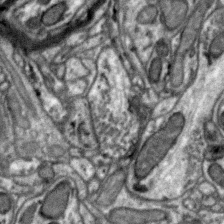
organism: Zebra finch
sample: Brain